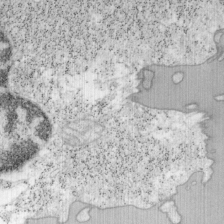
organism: Mouse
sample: OT-I killer T cells with ID8 ovarian cancer cells